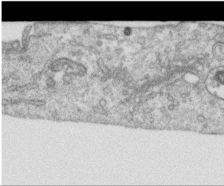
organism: Human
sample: Centriole in RPE cells